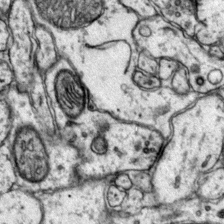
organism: Mouse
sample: Primary visual cortex